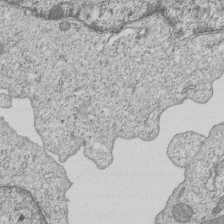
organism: Human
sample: MDA-MB-231 cells